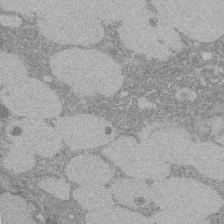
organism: Rat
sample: Salivary granule